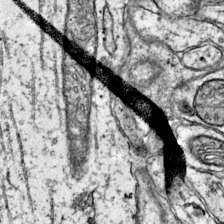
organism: Mouse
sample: Primary visual cortex